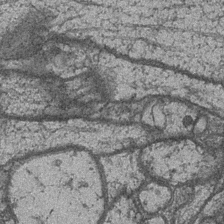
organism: Drosophila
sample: Optic medulla